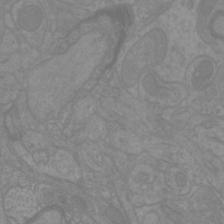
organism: Mouse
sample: Cortical neurons